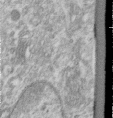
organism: Human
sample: Centriole in RPE cells